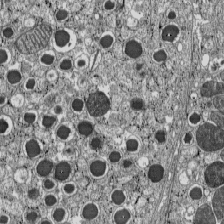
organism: C57BL Mouse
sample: Pancreatic islet